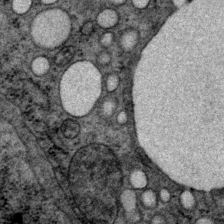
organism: P. pacificus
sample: Pharynx